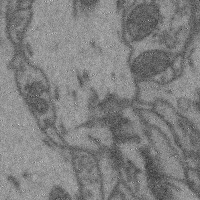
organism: Mouse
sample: Cerebral cortex